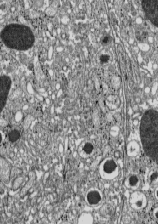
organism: C57BL Mouse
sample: Pancreatic islet